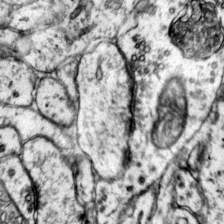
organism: Mouse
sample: Primary visual cortex